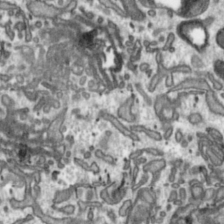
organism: Toxoplasma gondii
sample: Parasites in a vacuole inside a host cell